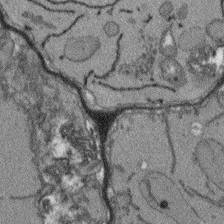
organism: Arabidopsis thaliana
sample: Root tip